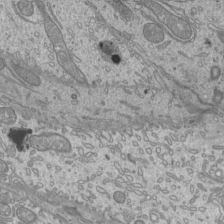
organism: Mouse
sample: Cilia; mouse epididymis